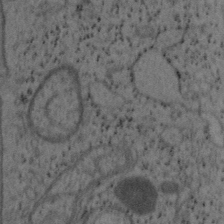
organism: Human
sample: HeLa cells